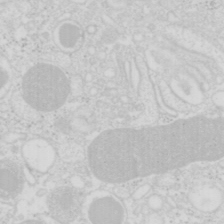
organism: Mouse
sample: Pancreas